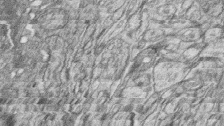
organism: Zebrafish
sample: synaptic ribbons in rod cells and cone cells